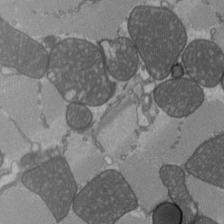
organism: C57BL Mouse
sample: Heart